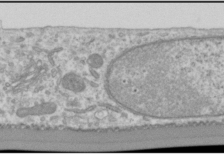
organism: Human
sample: Cilia; basal body in RPE cells